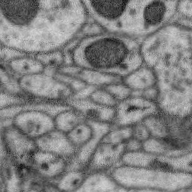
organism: Zebra finch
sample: Brain